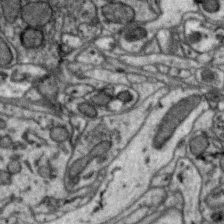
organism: Zebra finch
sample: Brain